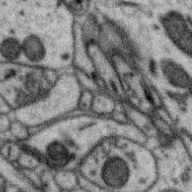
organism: Zebra finch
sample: Brain